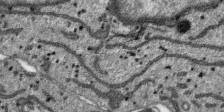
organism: Human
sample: Lung epithelial cells, uninfected (mock) control